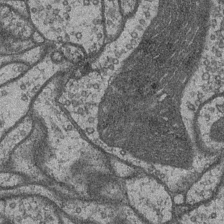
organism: Drosophila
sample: Optic medulla